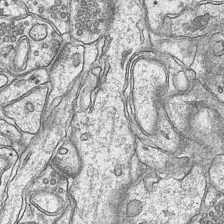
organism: Mouse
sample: CA1 Hippocampus